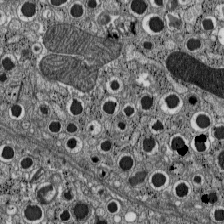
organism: C57BL Mouse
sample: Pancreatic islet